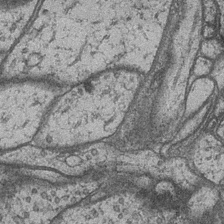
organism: Drosophila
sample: Optic medulla